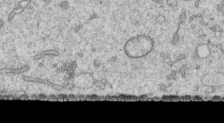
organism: Human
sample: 1205lu cells